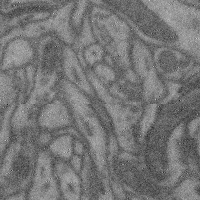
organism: Mouse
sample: Cerebral cortex